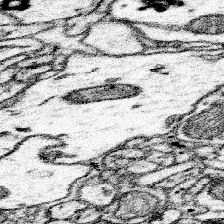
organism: Mouse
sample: Somatosensory cortex neuropil